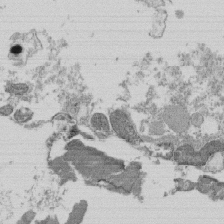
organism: Tetrahymena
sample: Cilia in tetrahymena